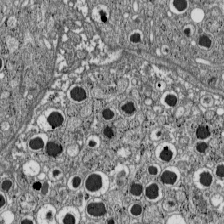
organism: C57BL Mouse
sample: Pancreatic islet